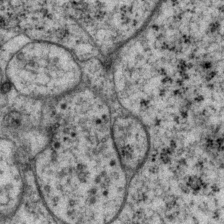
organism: P. pacificus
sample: Pharynx